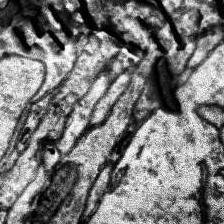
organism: Human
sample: Temporal Lobe